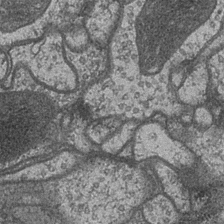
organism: Drosophila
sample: Optic medulla